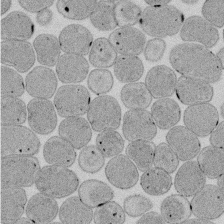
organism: E. coli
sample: Bacterial nucleoid